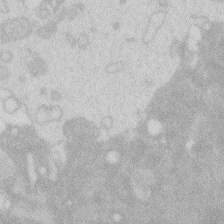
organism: Zebrafish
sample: Macrophage